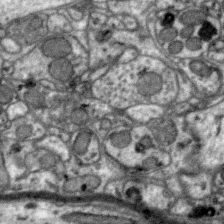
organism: Zebra finch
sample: Brain